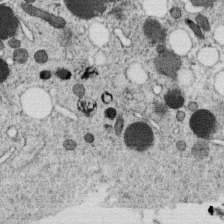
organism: C. elegans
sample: C. elegans oocyte; sperm cells